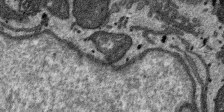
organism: Human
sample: Lung epithelial cells, uninfected (mock) control